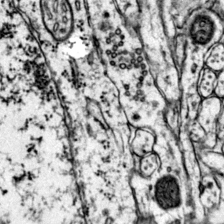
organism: Mouse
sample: Primary visual cortex